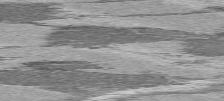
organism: C57BL Mouse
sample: Heart